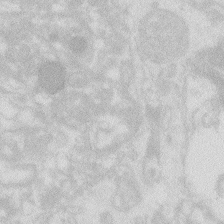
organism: Zebrafish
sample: Macrophage